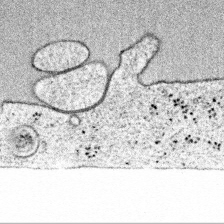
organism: Human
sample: HeLa cells